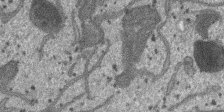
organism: Human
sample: Lung epithelial cells infected with SARS-CoV-2